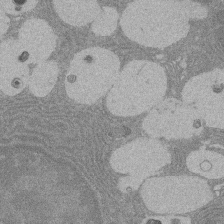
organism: Rat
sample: Salivary granule